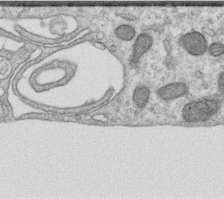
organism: Human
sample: Centriole in RPE cells